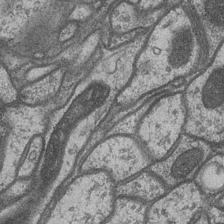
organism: Drosophila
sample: Optic medulla